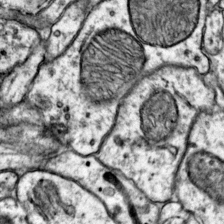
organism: Mouse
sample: Primary visual cortex